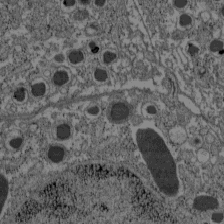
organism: C57BL Mouse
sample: Pancreatic islet